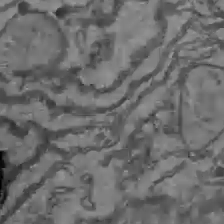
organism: C57BL Mouse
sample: Liver